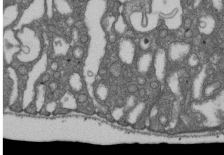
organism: Drosophila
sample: Nephrocyte